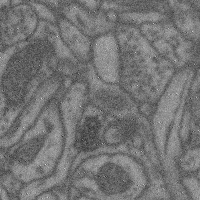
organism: Mouse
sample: Cerebral cortex